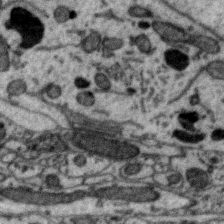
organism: Zebra finch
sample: Brain